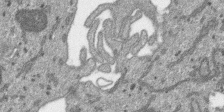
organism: Human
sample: Lung epithelial cells infected with SARS-CoV-2